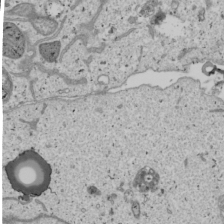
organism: Human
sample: Mitochondria in U2OS cells